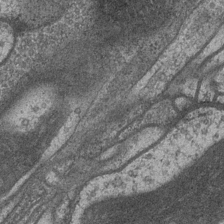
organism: Drosophila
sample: Optic medulla